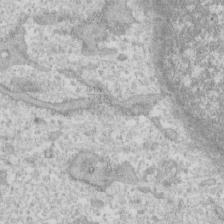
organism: Human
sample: CRL-1474